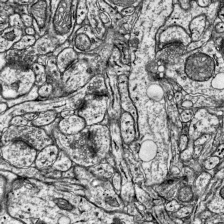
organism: Mouse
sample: Visual Cortex